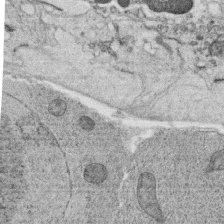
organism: C. elegans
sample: C. elegans oocyte; sperm cells